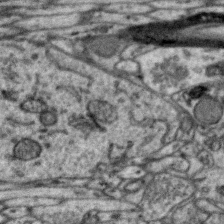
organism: Zebra finch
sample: Brain